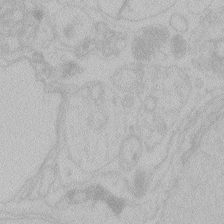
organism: Zebrafish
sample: Macrophage infected with Toxoplasma gondii